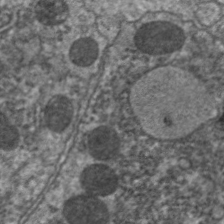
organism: C. elegans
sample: Pharynx